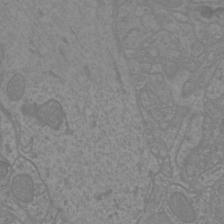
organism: Mouse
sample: Cortical neurons